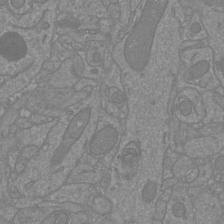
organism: Mouse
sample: Cortical neurons